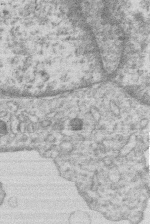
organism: Human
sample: Macrophage cells